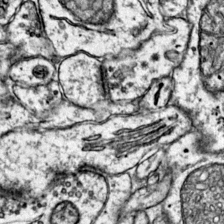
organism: Mouse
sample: Primary visual cortex